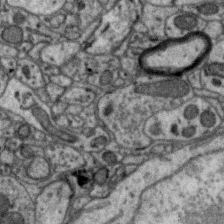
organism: Zebra finch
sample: Brain